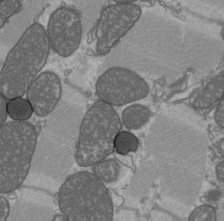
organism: C57BL Mouse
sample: Heart